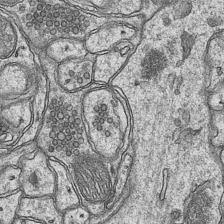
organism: Mouse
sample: CA1 Hippocampus